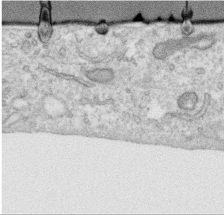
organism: Human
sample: Centriole in RPE cells